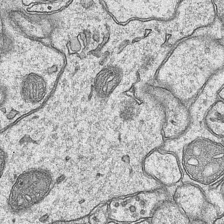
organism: Mouse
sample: CA1 Hippocampus